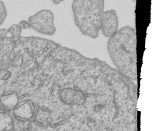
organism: Human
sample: MDA-MB-231 cells